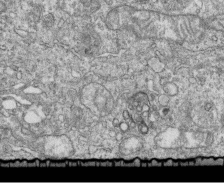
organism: Human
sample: HeLa cell HIV synapse